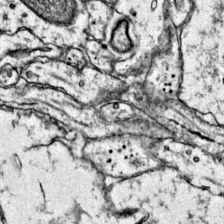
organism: Mouse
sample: Primary visual cortex